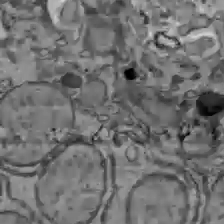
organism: C57BL Mouse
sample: Liver